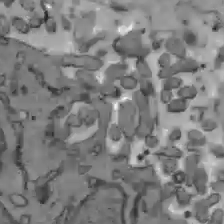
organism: C57BL Mouse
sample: Liver